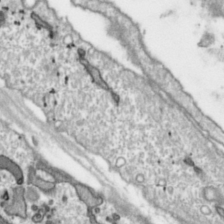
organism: Toxoplasma gondii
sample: Parasites in a vacuole inside a host cell